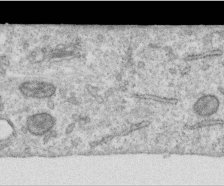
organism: Human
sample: Centriole in RPE cells